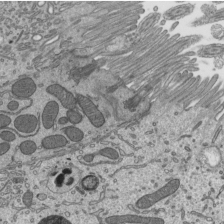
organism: Mouse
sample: Mouse epididymis efferent ductule cilia